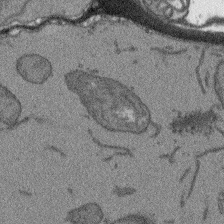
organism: Arabidopsis thaliana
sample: Root tip